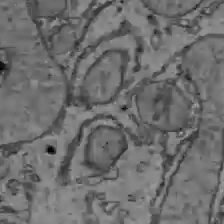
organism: C57BL Mouse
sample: Liver